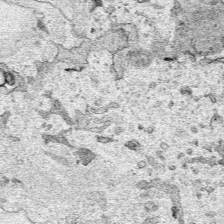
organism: Human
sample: Mitochondria in HCT116 cells